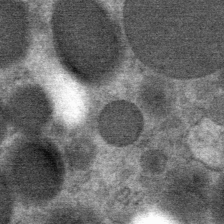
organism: Mouse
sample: Mouse Salivary gland